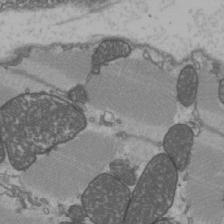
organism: C57BL Mouse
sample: Heart